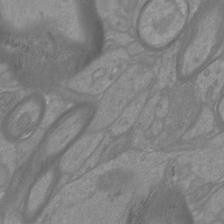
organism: Mouse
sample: Cortical neurons